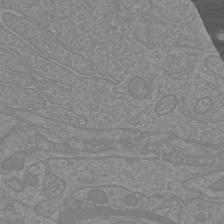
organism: Mouse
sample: Cortical neurons